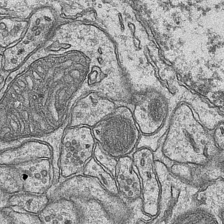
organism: Mouse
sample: CA1 Hippocampus